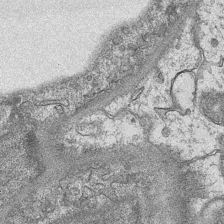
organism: Mouse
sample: CA1 Hippocampus